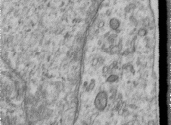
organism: Human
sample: Centriole in RPE cells